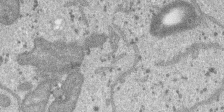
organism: Human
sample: Lung epithelial cells infected with SARS-CoV-2